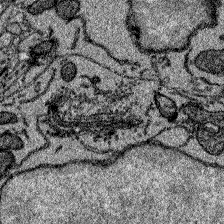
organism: Zebrafish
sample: Larval olfactory bulb